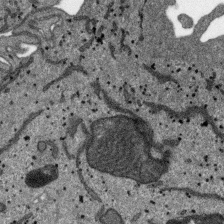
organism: Human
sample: Lung epithelial cells, uninfected (mock) control